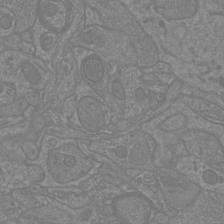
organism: Mouse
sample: Cortical neurons